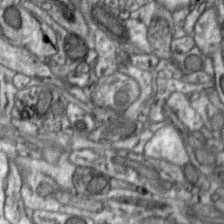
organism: Zebra finch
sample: Brain